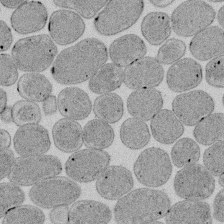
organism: E. coli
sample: Bacterial nucleoid